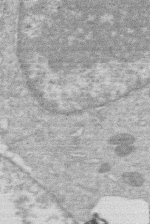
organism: Human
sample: Macrophage cells